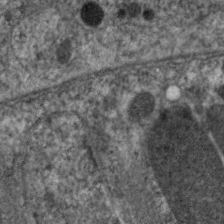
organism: C. elegans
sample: Pharynx